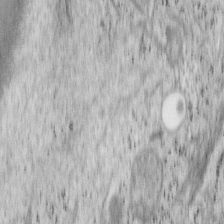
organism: Human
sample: HeLa cells